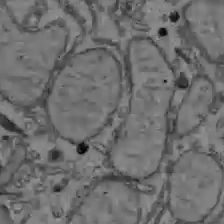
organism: C57BL Mouse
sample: Liver